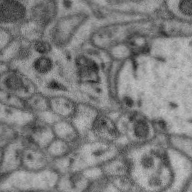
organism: Zebra finch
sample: Brain